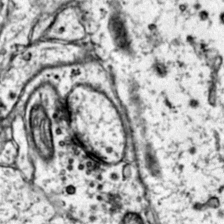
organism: Mouse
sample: Primary visual cortex